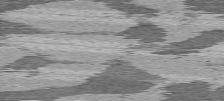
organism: C57BL Mouse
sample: Heart